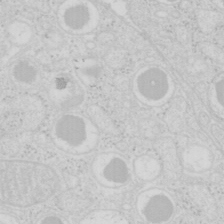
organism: Mouse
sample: Pancreas